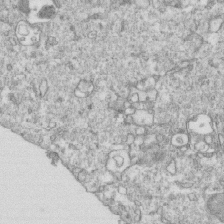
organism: Mouse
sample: Activated OT-1 CD8+ T cells